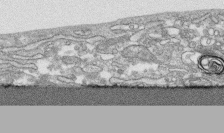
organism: Human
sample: CRL-1474